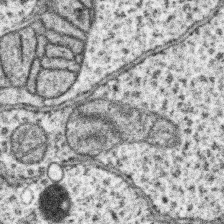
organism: Human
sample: HeLa cells